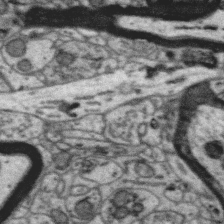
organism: Zebra finch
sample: Brain